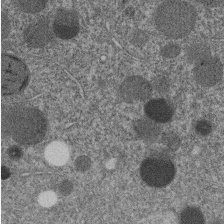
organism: C. elegans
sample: C. elegans embryo early stage